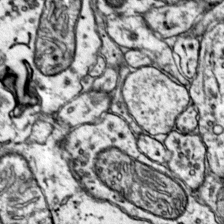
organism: Mouse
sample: Primary visual cortex